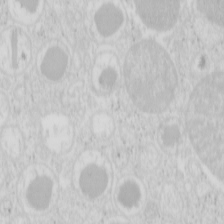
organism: Mouse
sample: Pancreas